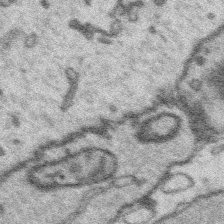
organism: Platynereis dumerilii